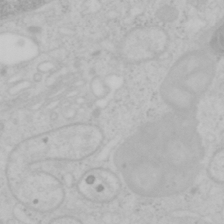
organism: Mouse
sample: OT-I killer T cells with ID8 ovarian cancer cells